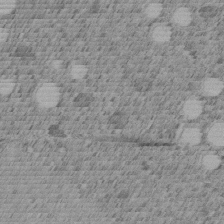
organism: C. elegans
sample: C. elegans embryo early stage